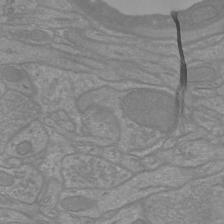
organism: Mouse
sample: Cortical neurons